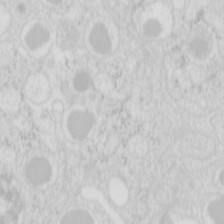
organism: Mouse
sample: Pancreas